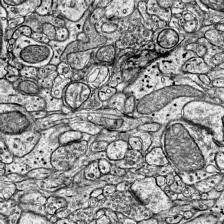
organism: Mouse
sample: Visual Cortex